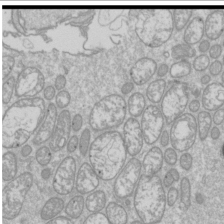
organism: Drosophila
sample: Cell division; meiosis; drosophila spermatocytes